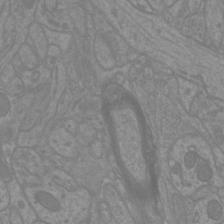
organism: Mouse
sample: Cortical neurons